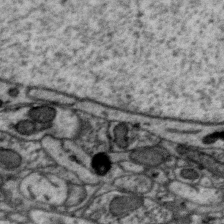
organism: Zebra finch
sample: Brain